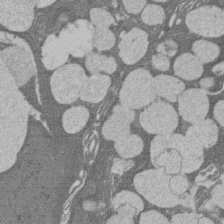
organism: Rat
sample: Salivary granule